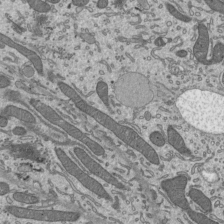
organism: Mouse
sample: Mouse epididymis efferent ductule cilia